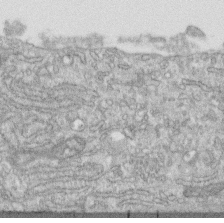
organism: Human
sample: Centriole in RPE cells